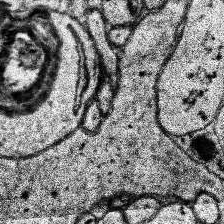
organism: Human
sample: Temporal Lobe